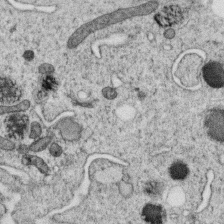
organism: C. elegans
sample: C. elegans oocyte; sperm cells